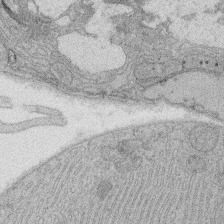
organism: Rat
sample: Salivary granule